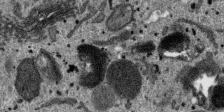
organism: Human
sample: Lung epithelial cells, uninfected (mock) control